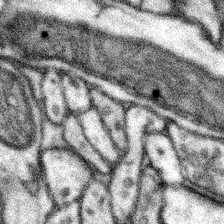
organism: Mouse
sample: Somatosensory cortex neuropil